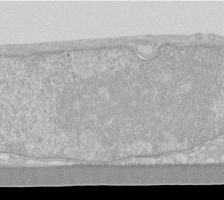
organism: Human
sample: Fibroblast cells